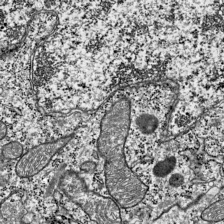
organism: Mouse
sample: Visual Cortex